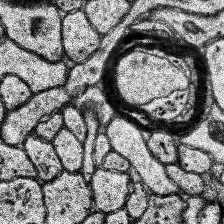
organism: Human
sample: Temporal Lobe